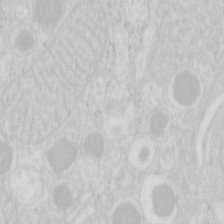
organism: Mouse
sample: Pancreas